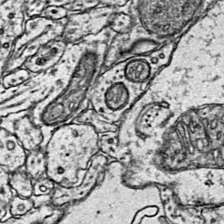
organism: Mouse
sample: Primary visual cortex